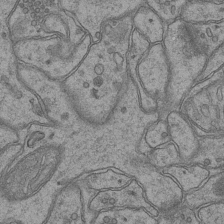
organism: Mouse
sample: CA1 Hippocampus